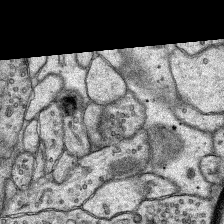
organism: Rat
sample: Hippocampus